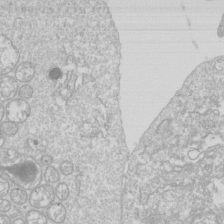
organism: Drosophila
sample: Cell division; meiosis; drosophila spermatocytes